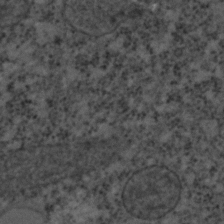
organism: C. elegans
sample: C. elegans embryo